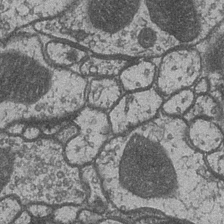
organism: Drosophila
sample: Optic medulla